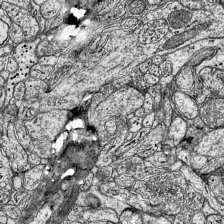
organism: Mouse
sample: Visual Cortex